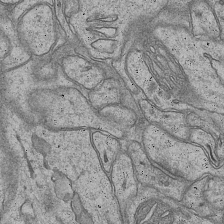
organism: Mouse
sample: CA1 Hippocampus